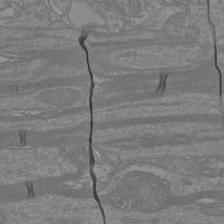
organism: Mouse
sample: Cortical neurons